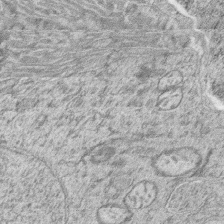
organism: Zebrafish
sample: synaptic ribbons in rod cells and cone cells